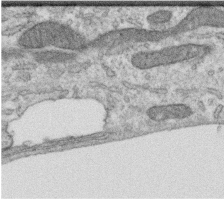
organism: Human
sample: Centriole in RPE cells